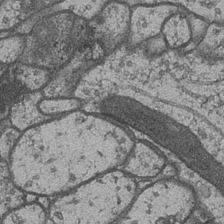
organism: Drosophila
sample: Optic medulla